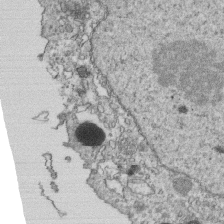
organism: Human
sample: HeLa cell HIV synapse